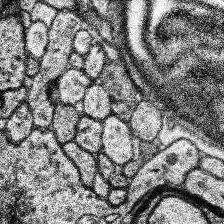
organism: Human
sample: Temporal Lobe